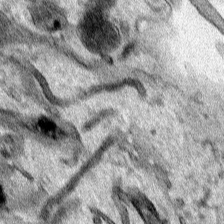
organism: Human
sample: Mitochondria in HCT116 cells